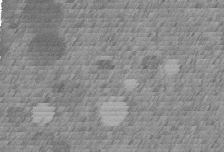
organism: C. elegans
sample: C. elegans embryo early stage